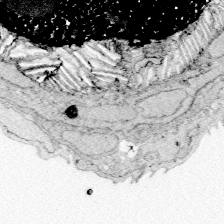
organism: Zebrafish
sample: Whole-Brain